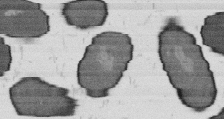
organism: B. subtilis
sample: Bacterial spore